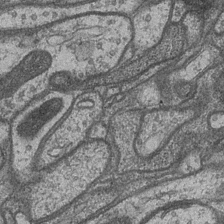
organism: Drosophila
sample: Optic medulla